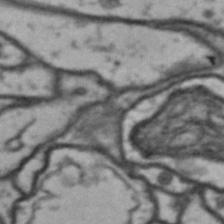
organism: Drosophila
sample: Brain